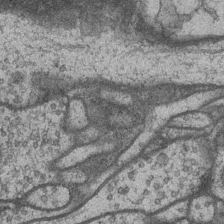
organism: Drosophila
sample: Optic medulla